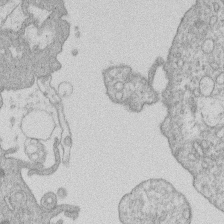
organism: Human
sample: Macrophage cells